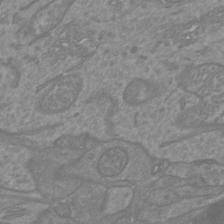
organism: Mouse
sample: Cortical neurons